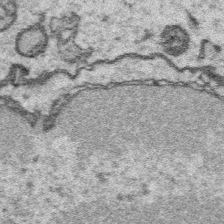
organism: Platynereis dumerilii